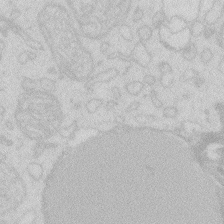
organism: Zebrafish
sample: Macrophage